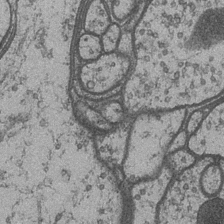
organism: Drosophila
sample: Optic medulla